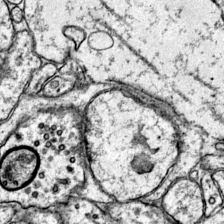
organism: Mouse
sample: Primary visual cortex